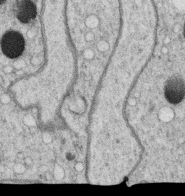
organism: C. elegans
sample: C. elegans oocyte; sperm cells